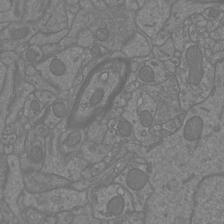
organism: Mouse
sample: Cortical neurons